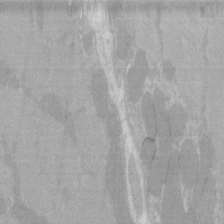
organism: C57BL Mouse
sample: Tibialis anterior muscle cell